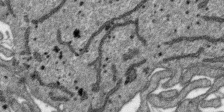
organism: Human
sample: Lung epithelial cells, uninfected (mock) control